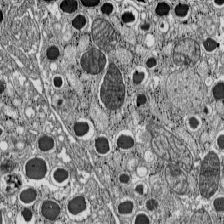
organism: C57BL Mouse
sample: Pancreatic islet